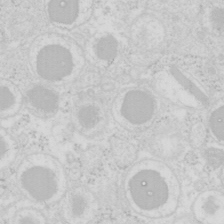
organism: Mouse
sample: Pancreas